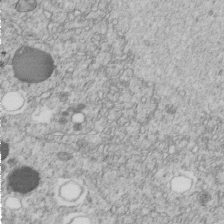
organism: C. elegans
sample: C. elegans embryo early stage